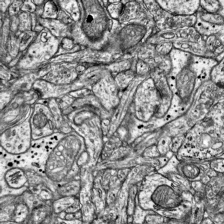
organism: Mouse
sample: Visual Cortex